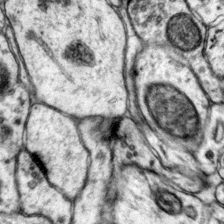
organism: Mouse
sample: Primary visual cortex